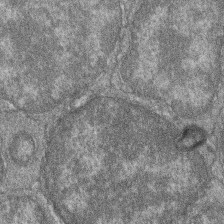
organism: Zebrafish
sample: Cilia; retinal pigment epithelium